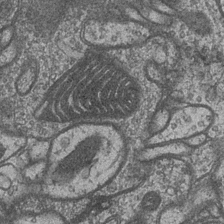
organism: Drosophila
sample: Optic medulla